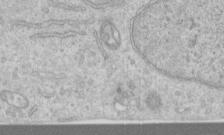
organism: Human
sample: Centriole in RPE cells